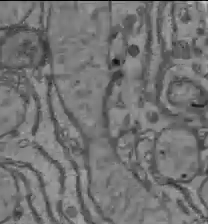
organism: C57BL Mouse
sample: Liver